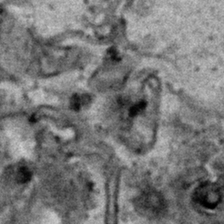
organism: Human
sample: Mitochondria in HCT116 cells